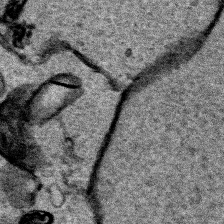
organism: Human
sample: Mitochondria in HCT116 cells